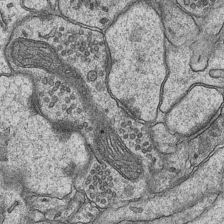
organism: Mouse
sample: CA1 Hippocampus